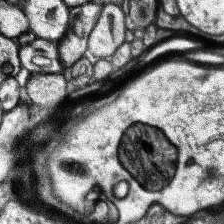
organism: Human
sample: Temporal Lobe